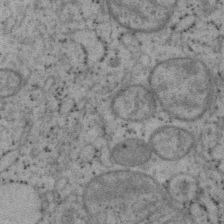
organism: Human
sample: HeLa cells